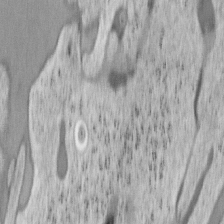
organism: Human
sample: HeLa cells